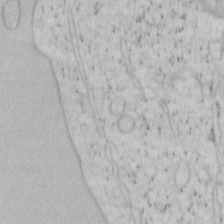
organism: Human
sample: HeLa cells